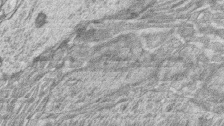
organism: Zebrafish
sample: synaptic ribbons in rod cells and cone cells